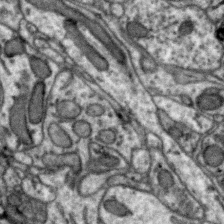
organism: Zebra finch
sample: Brain